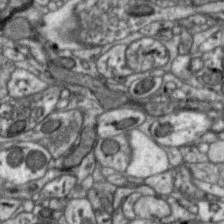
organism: Zebra finch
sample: Brain